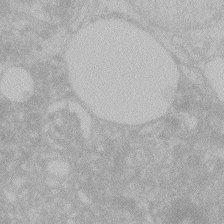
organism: Zebrafish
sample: Macrophage infected with Toxoplasma gondii